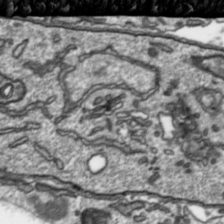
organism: Toxoplasma gondii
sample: Parasites in a vacuole inside a host cell